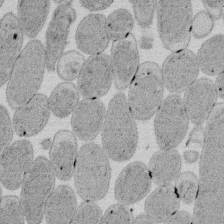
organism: E. coli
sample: Bacterial nucleoid